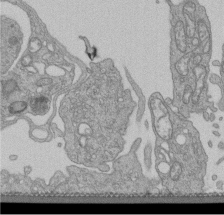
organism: Human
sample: Retinal organoid Rod and Cone cells